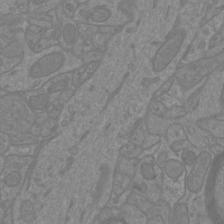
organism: Mouse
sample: Cortical neurons